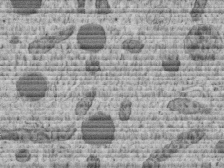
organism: C. elegans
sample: C. elegans embryo early stage